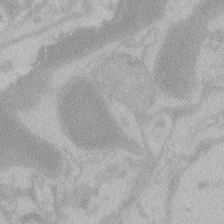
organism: Zebrafish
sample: Macrophage infected with Toxoplasma gondii